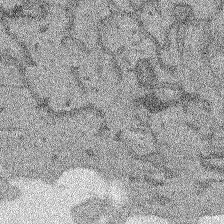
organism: Human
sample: HeLa cells